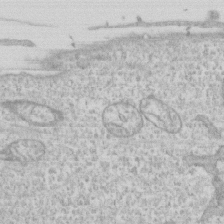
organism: Human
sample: CRL-1474